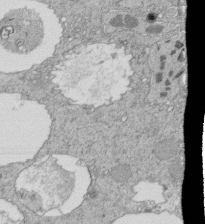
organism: Tetrahymena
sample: Cilia in tetrahymena